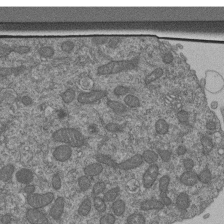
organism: Human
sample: Retinal organoid Rod and Cone cells